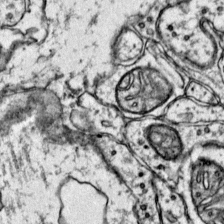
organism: Mouse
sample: Primary visual cortex